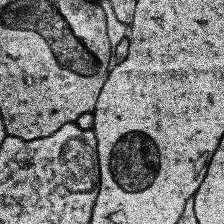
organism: Human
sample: Temporal Lobe